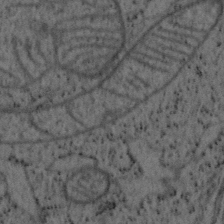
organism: Human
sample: HeLa cells